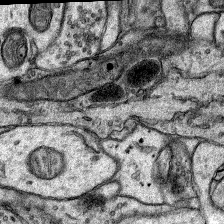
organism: Rat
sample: Hippocampus